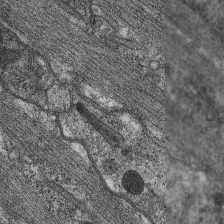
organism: C. elegans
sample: Pharynx